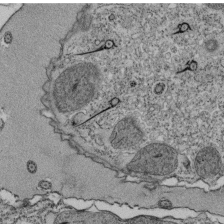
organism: Tetrahymena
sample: Cilia in tetrahymena